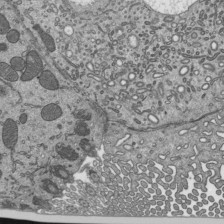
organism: Mouse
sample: Mouse epididymis efferent ductule cilia